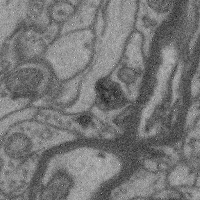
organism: Mouse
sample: Cerebral cortex